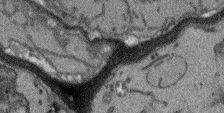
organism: Arabidopsis thaliana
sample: Root tip